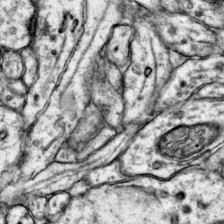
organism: Mouse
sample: Primary visual cortex